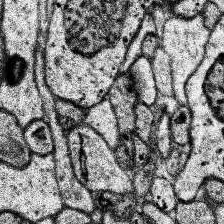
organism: Human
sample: Temporal Lobe